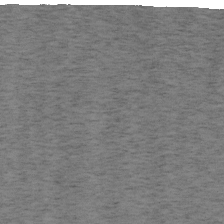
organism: Mouse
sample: OT-I killer T cells with ID8 ovarian cancer cells